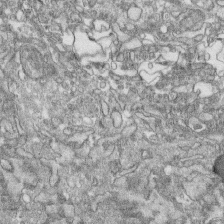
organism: Human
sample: CRL-1474